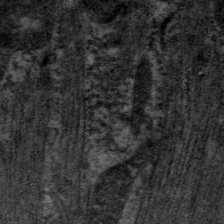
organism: C. elegans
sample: Pharynx